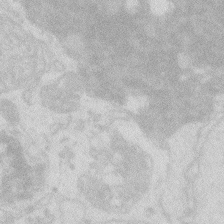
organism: Zebrafish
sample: Macrophage